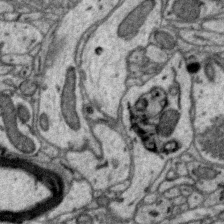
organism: Zebra finch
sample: Brain